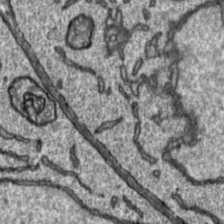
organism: Toxoplasma gondii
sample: Parasites in a vacuole inside a host cell